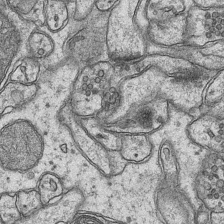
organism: Mouse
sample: CA1 Hippocampus